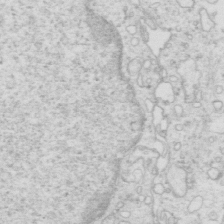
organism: Mouse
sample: Multiciliated cells